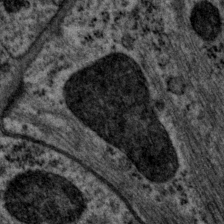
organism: P. pacificus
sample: Pharynx